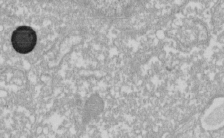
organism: Xenopus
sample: Cilia; centrioles in frog embryo cells